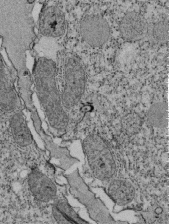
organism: Tetrahymena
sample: Cilia in tetrahymena